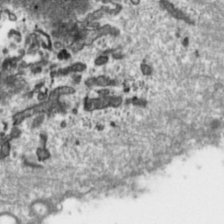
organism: Toxoplasma gondii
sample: Parasites in a vacuole inside a host cell